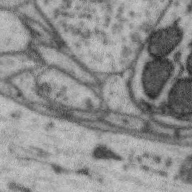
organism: Zebra finch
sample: Brain